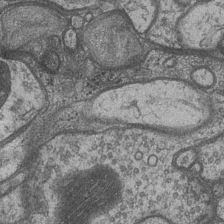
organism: Drosophila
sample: Optic medulla